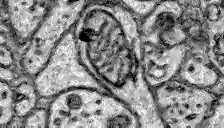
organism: Zebrafish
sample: Brain